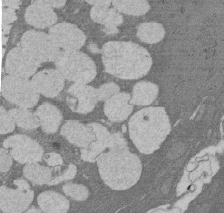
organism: Rat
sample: Salivary granule